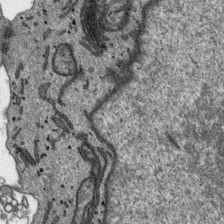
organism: Human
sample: Lung epithelial cells, uninfected (mock) control